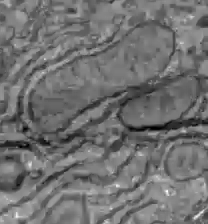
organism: C57BL Mouse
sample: Liver